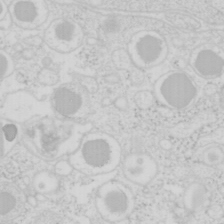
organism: Mouse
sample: Pancreas